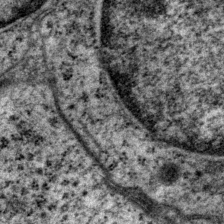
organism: P. pacificus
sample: Pharynx